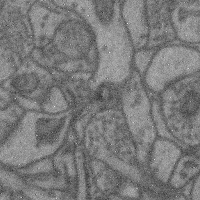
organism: Mouse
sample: Cerebral cortex